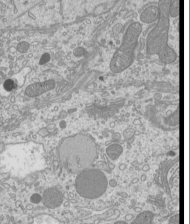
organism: Mouse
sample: Cilia; mouse epididymis